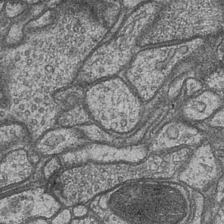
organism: Drosophila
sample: Optic medulla